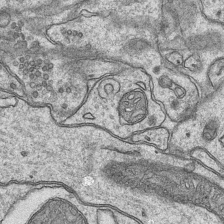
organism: Mouse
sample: CA1 Hippocampus